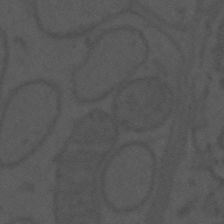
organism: Mouse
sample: Suprachiasmatic nucleus